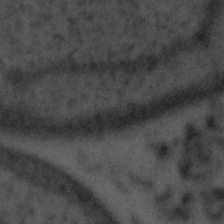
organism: Tuwongella immobilis